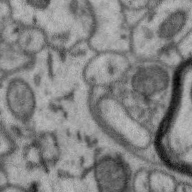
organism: Zebra finch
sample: Brain